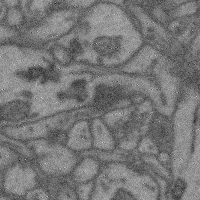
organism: Mouse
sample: Cerebral cortex